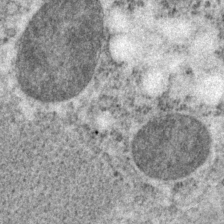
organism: P. pacificus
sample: Pharynx